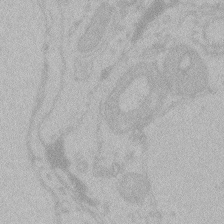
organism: Zebrafish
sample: Macrophage infected with Toxoplasma gondii